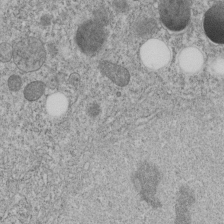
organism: C. elegans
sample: C. elegans embryo early stage